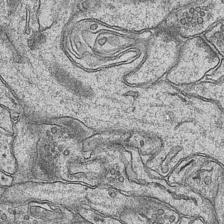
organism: Mouse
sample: CA1 Hippocampus